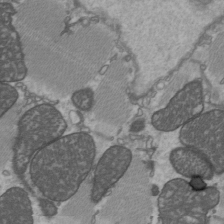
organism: C57BL Mouse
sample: Heart